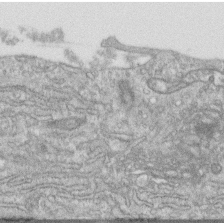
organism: Human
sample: Centriole in RPE cells